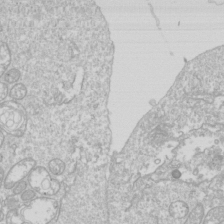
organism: Drosophila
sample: Cell division; meiosis; drosophila spermatocytes